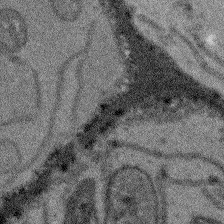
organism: Arabidopsis thaliana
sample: Root tip